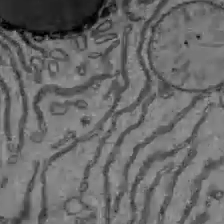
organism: C57BL Mouse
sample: Liver